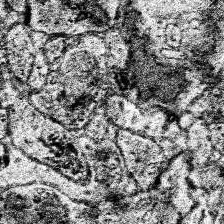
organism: Human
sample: Temporal Lobe